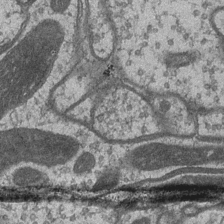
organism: Drosophila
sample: Optic medulla